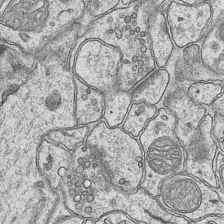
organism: Mouse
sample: CA1 Hippocampus